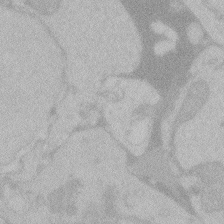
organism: Zebrafish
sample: Macrophage infected with Toxoplasma gondii